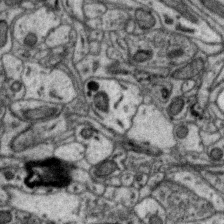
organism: Zebra finch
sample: Brain